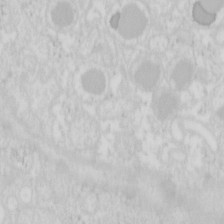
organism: Mouse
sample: Pancreas